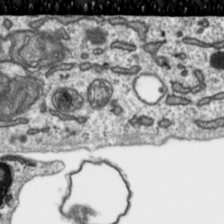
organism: Toxoplasma gondii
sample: Parasites in a vacuole inside a host cell